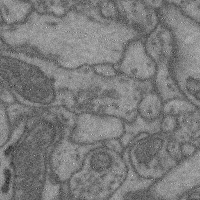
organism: Mouse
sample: Cerebral cortex